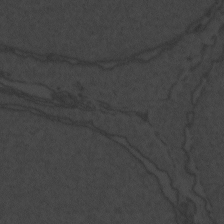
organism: Zebrafish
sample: Macrophage infected with Toxoplasma gondii